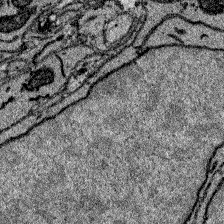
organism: Zebrafish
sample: Larval olfactory bulb